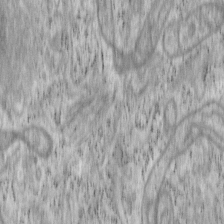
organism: Human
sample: HeLa cells